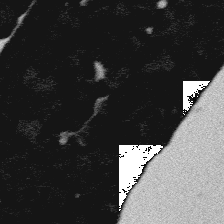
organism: Platynereis dumerilii